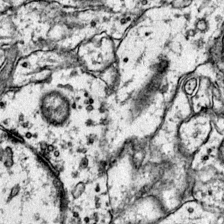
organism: Mouse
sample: Primary visual cortex